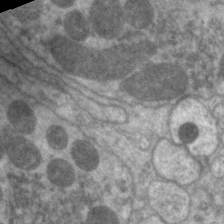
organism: C. elegans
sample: Pharynx